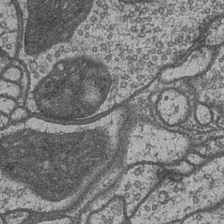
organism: Drosophila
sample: Optic medulla